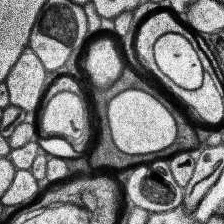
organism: Human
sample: Temporal Lobe